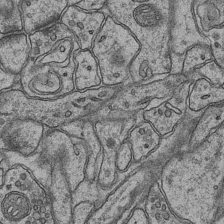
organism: Mouse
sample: CA1 Hippocampus